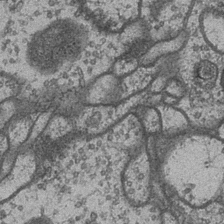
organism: Drosophila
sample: Optic medulla